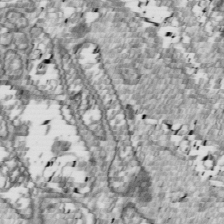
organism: Drosophila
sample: Cell division; meiosis; drosophila spermatocytes